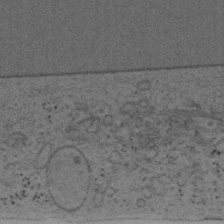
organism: Human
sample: HeLa cells